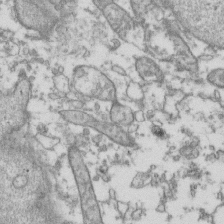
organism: Human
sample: Activated Jurkat CD4+ T cells